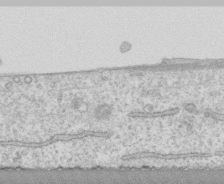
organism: Human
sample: CRL-1474